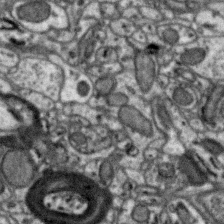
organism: Zebra finch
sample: Brain